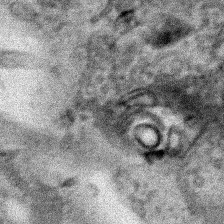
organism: Human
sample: Mitochondria in HCT116 cells